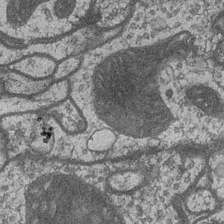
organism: Drosophila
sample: Optic medulla